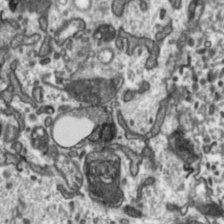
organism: Toxoplasma gondii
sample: Parasites in a vacuole inside a host cell